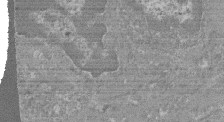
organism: Mouse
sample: Glomerulus